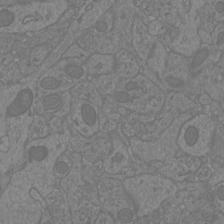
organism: Mouse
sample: Cortical neurons